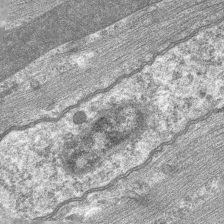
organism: C. elegans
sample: Pharynx